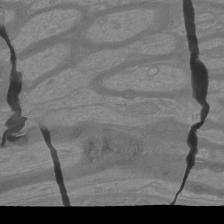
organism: Mouse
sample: Cortical neurons